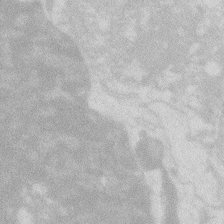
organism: Zebrafish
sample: Macrophage